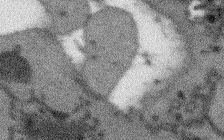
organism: Arabidopsis thaliana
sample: Root tip